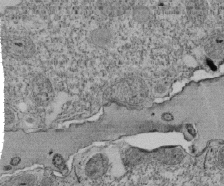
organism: Tetrahymena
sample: Cilia in tetrahymena